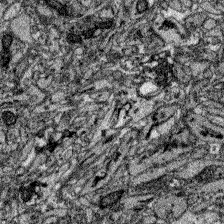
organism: Zebrafish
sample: Larval olfactory bulb